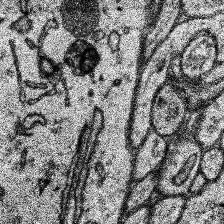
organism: Human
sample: Temporal Lobe